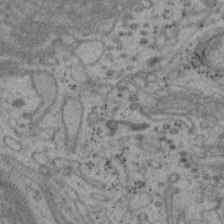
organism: Human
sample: HeLa cells